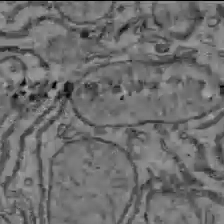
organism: C57BL Mouse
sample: Liver